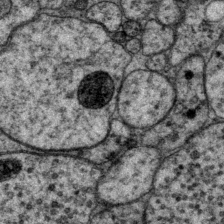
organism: P. pacificus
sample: Pharynx